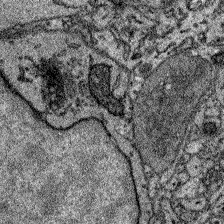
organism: Zebrafish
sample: Larval olfactory bulb